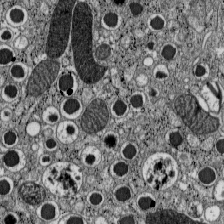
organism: C57BL Mouse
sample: Pancreatic islet